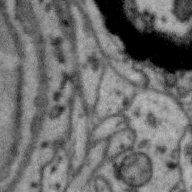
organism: Zebra finch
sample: Brain